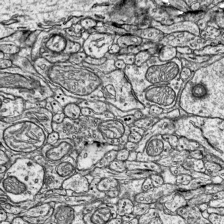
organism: Mouse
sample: Visual Cortex